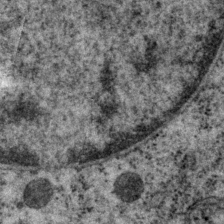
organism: P. pacificus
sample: Pharynx